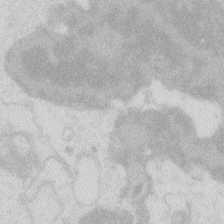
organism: Zebrafish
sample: Macrophage